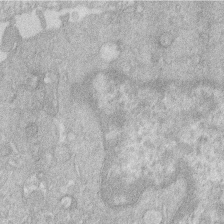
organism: Human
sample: Macrophage cells